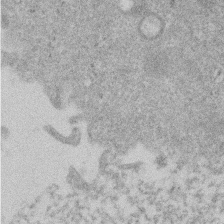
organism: Mouse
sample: Dividing mouse embryo 1 cell stage